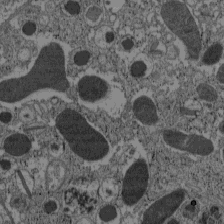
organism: C57BL Mouse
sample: Pancreatic islet